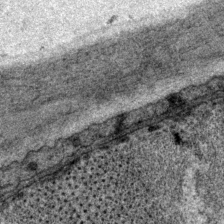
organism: P. pacificus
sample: Pharynx